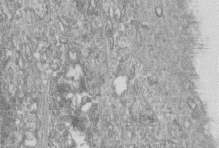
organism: Human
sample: Centriole in fibroblast cells